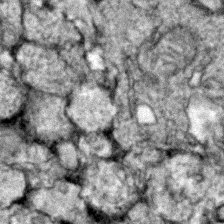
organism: Zebrafish